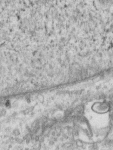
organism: Human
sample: Centriole in RPE cells